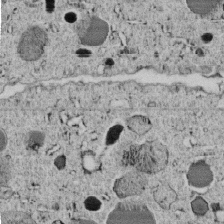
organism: C. elegans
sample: C. elegans embryo early stage